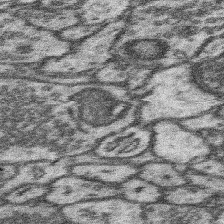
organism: Mouse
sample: Somatosensory cortex neuropil